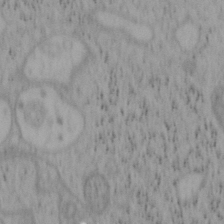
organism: Mouse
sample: OT-I killer T cells with ID8 ovarian cancer cells